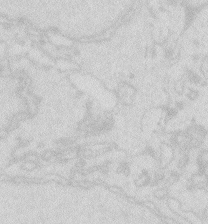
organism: Zebrafish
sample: Macrophage